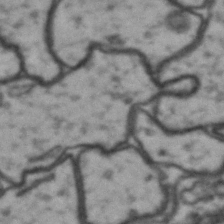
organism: Drosophila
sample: Brain